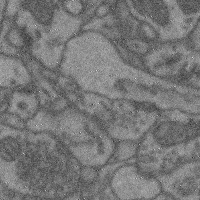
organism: Mouse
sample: Cerebral cortex